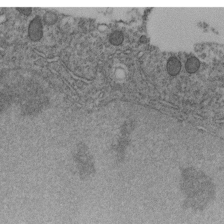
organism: C. elegans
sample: C. elegans embryo early stage